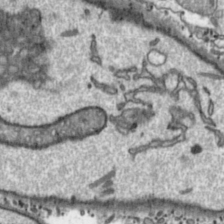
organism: Toxoplasma gondii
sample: Parasites in a vacuole inside a host cell